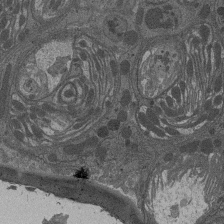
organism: Drosophila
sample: Antenna